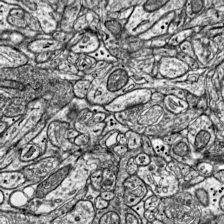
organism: Mouse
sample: Visual Cortex